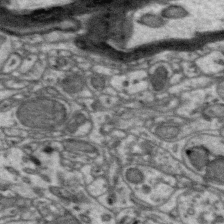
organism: Zebra finch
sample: Brain